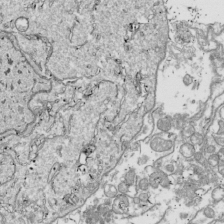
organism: Drosophila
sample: Cell division; meiosis; drosophila spermatocytes